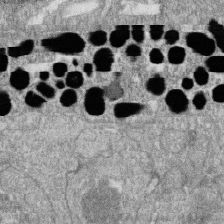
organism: Zebrafish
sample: Cilia; retinal pigment epithelium